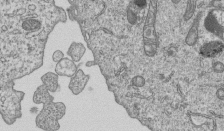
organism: Human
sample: MDA-MB-231 cells